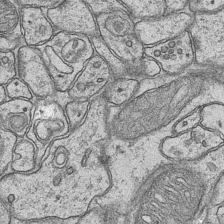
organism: Mouse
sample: CA1 Hippocampus